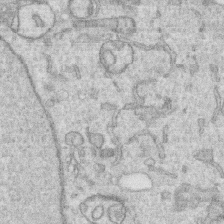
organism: Human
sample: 1205lu cells